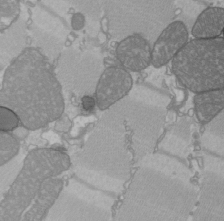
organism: C57BL Mouse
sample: Heart